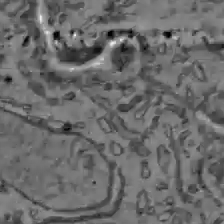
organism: C57BL Mouse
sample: Liver